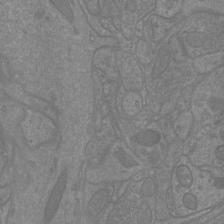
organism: Mouse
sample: Cortical neurons